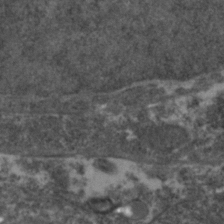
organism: Zebrafish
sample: Zebrafish embryo